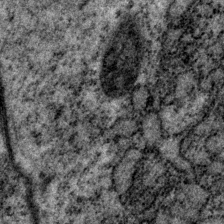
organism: P. pacificus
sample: Pharynx